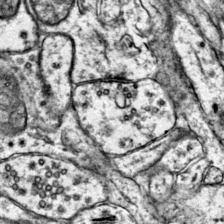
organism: Mouse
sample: Primary visual cortex